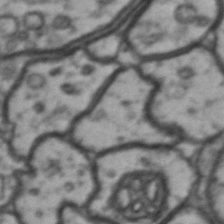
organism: Drosophila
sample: Brain